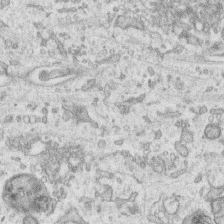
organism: Human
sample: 1205lu cells